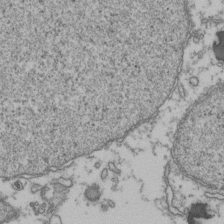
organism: Human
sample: Activated Jurkat CD4+ T cells